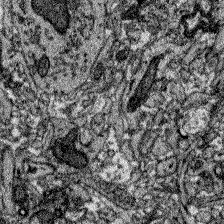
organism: Zebrafish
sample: Larval olfactory bulb